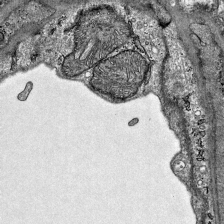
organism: Mouse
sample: Visual Cortex